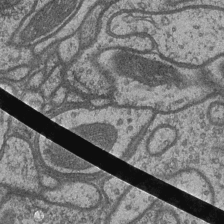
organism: Drosophila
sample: Optic medulla